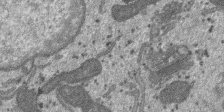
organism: Human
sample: Lung epithelial cells infected with SARS-CoV-2